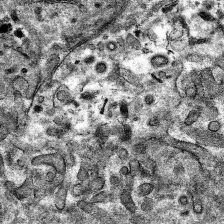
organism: Mouse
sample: Mouse hepatocytes